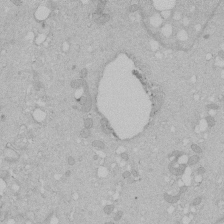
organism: Human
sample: Melanocyte Keratinocyte synapse skin construct